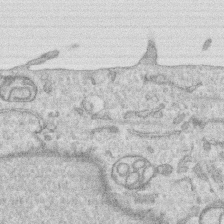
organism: Human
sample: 1205lu cells